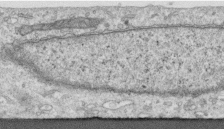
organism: Human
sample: Centriole in RPE cells